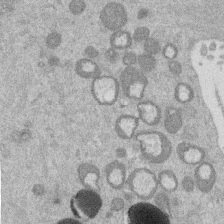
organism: Mouse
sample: Dividing mouse embryo 1 cell stage